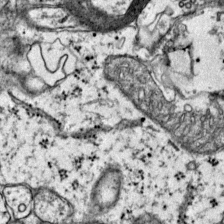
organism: Mouse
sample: Primary visual cortex